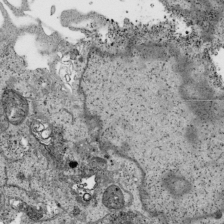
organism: Human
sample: Mitochondria in HCT116 cells